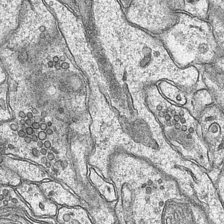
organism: Mouse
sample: CA1 Hippocampus